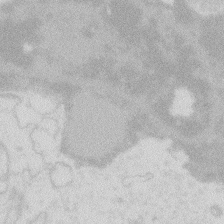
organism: Zebrafish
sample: Macrophage